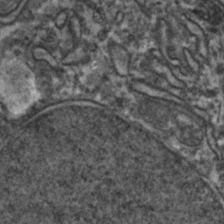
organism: Zebrafish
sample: Zebrafish embryo